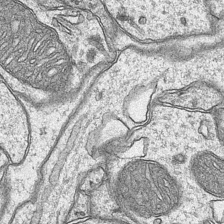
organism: Mouse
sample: CA1 Hippocampus